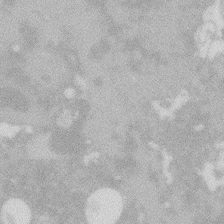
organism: Zebrafish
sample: Macrophage